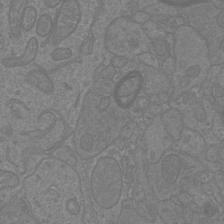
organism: Mouse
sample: Cortical neurons